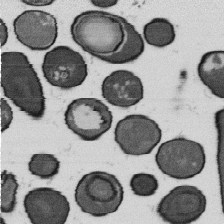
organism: B. subtilis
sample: Bacterial spore